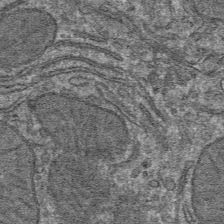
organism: Mouse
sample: Mouse hepatocytes